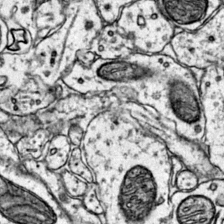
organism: Mouse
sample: Primary visual cortex